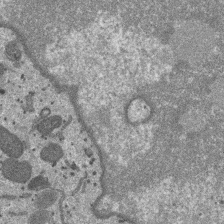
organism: Human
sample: Lung epithelial cells infected with SARS-CoV-2